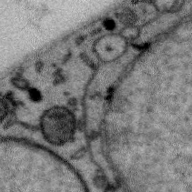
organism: Zebra finch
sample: Brain